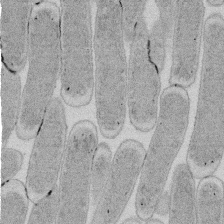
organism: E. coli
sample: Bacterial nucleoid